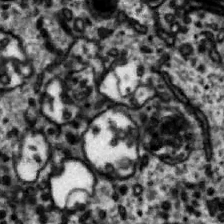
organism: Human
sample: HeLa cells